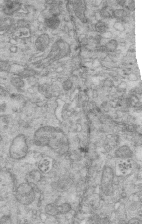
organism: Mouse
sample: Multiciliated cells